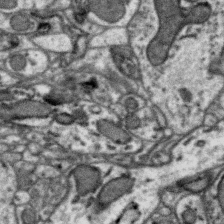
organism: Zebra finch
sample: Brain